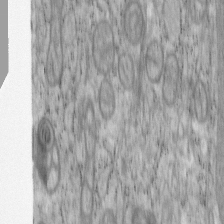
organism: Human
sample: HeLa cells